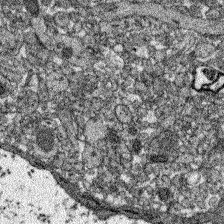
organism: Zebrafish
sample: Larval olfactory bulb